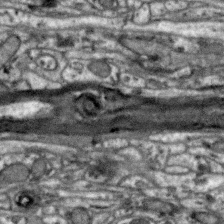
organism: Zebra finch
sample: Brain